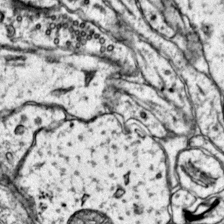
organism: Mouse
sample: Primary visual cortex